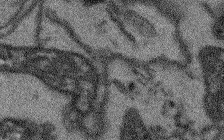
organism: Arabidopsis thaliana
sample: Root tip